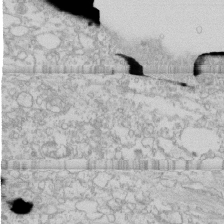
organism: Human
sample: CRL-1474